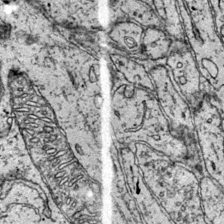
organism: Mouse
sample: Primary visual cortex